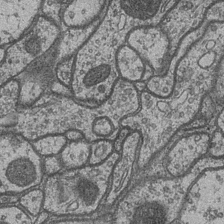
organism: Drosophila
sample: Optic medulla